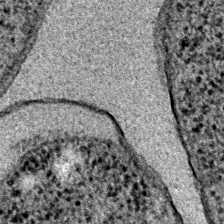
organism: E. coli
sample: E. Coli Bacteria